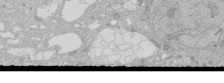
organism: Human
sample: Caco-2 cells